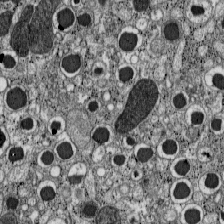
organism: C57BL Mouse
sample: Pancreatic islet